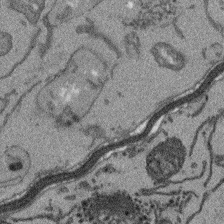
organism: Arabidopsis thaliana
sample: Root tip